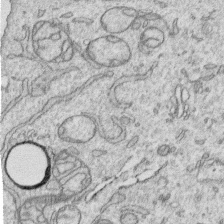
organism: Human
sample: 1205lu cells